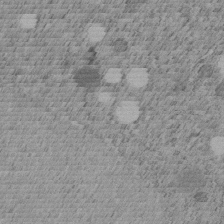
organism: C. elegans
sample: C. elegans embryo early stage